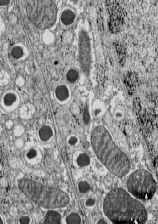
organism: C57BL Mouse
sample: Pancreatic islet